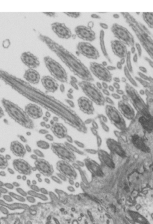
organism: Mouse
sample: Mouse epididymis efferent ductule cilia